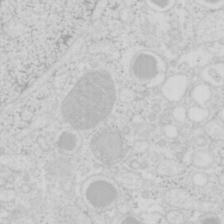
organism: Mouse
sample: Pancreas